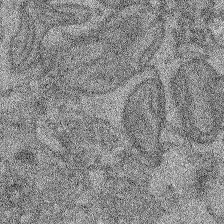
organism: Human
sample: HeLa cells